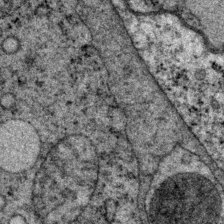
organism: P. pacificus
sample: Pharynx